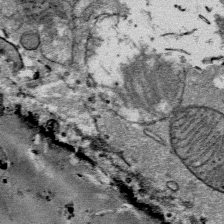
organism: Mouse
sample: Mouse Salivary gland